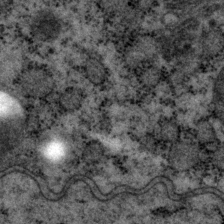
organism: P. pacificus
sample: Pharynx